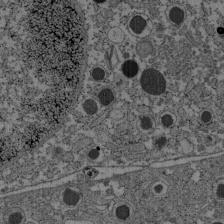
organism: C57BL Mouse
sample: Pancreatic islet